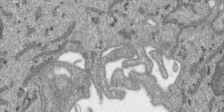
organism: Human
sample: Lung epithelial cells infected with SARS-CoV-2